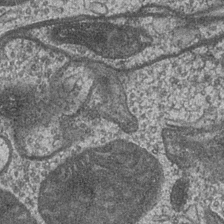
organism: Drosophila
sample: Optic medulla